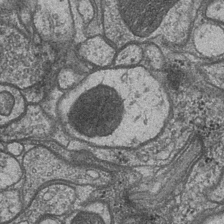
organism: Drosophila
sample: Optic medulla